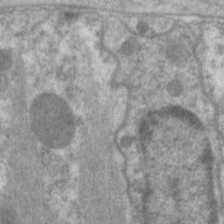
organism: C. elegans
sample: Pharynx